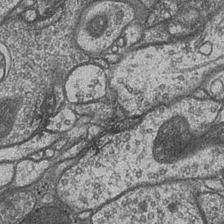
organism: Drosophila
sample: Optic medulla